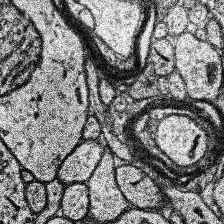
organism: Human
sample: Temporal Lobe